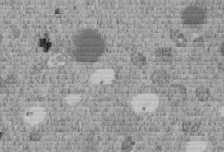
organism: C. elegans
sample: C. elegans embryo early stage